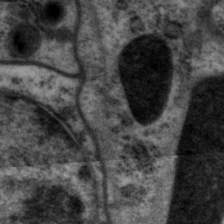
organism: P. pacificus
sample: Pharynx